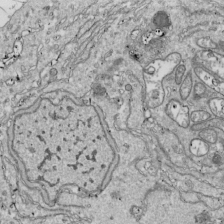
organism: Drosophila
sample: Cell division; meiosis; drosophila spermatocytes